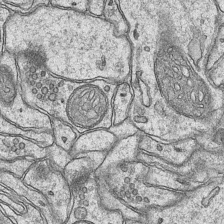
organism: Mouse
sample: CA1 Hippocampus